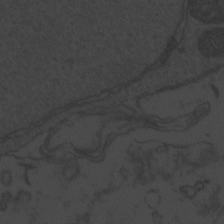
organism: Zebrafish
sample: Macrophage infected with Toxoplasma gondii